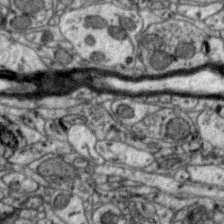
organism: Zebra finch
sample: Brain